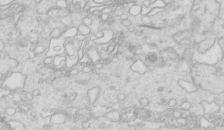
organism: Mouse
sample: Multiciliated cells